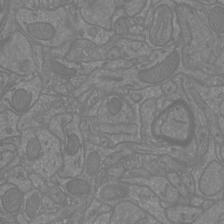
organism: Mouse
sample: Cortical neurons